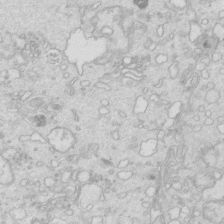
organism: Mouse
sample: Multiciliated cells